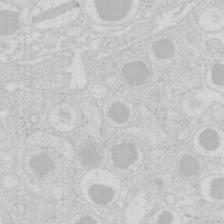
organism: Mouse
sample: Pancreas